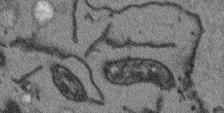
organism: Arabidopsis thaliana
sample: Root tip